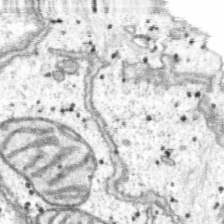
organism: Human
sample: HeLa cells